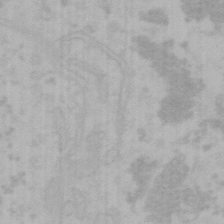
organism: Mouse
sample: Choroid plexus